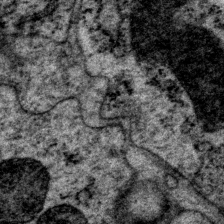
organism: P. pacificus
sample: Pharynx